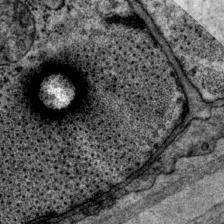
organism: P. pacificus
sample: Pharynx